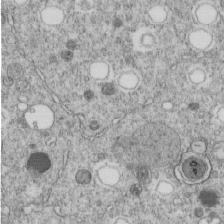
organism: C. elegans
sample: C. elegans embryo early stage